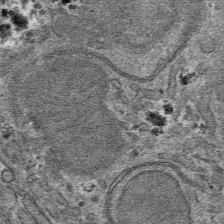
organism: Mouse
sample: Mouse hepatocytes